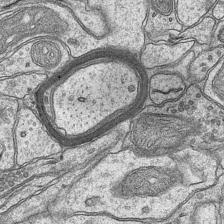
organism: Mouse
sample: CA1 Hippocampus